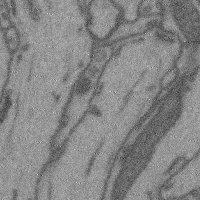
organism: Mouse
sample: Cerebral cortex